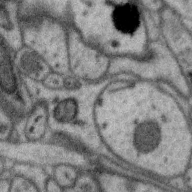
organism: Zebra finch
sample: Brain